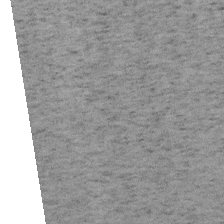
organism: Mouse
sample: OT-I killer T cells with ID8 ovarian cancer cells